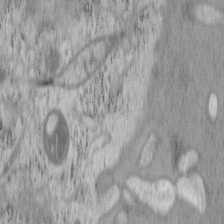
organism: Human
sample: HeLa cells